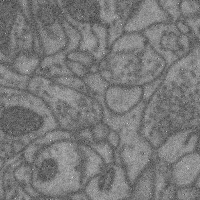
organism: Mouse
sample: Cerebral cortex